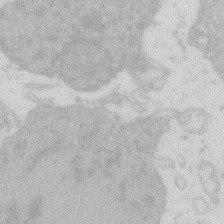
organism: Zebrafish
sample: Macrophage